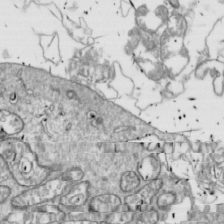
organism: Drosophila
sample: Cell division; meiosis; drosophila spermatocytes